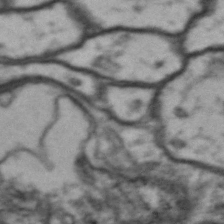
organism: Drosophila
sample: Brain